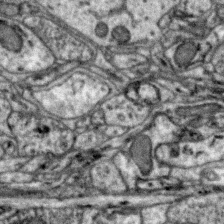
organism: Zebra finch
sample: Brain